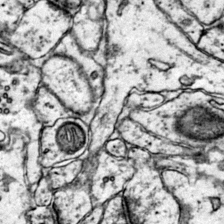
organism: Mouse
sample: Primary visual cortex